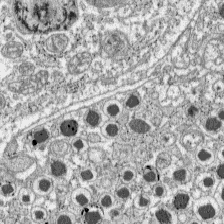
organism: C57BL Mouse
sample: Pancreatic islet